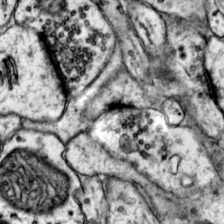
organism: Mouse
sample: Primary visual cortex